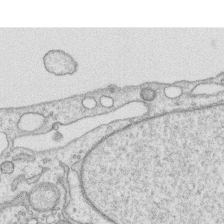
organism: Human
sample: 1205lu cells